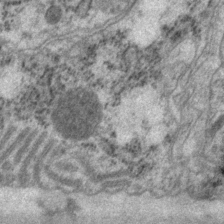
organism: P. pacificus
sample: Pharynx